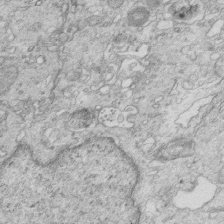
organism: Mouse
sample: Multiciliated cells